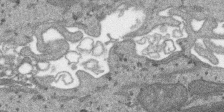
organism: Human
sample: Lung epithelial cells infected with SARS-CoV-2